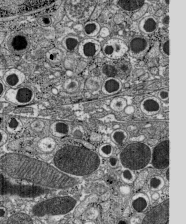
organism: C57BL Mouse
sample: Pancreatic islet